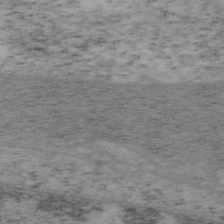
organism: Mouse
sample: OT-I killer T cells with ID8 ovarian cancer cells